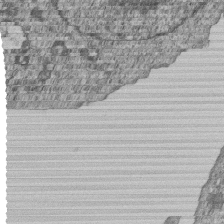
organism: Human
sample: MDA-MB-231 cells